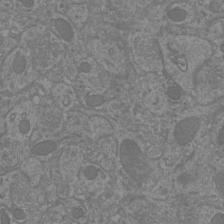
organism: Mouse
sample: Cortical neurons